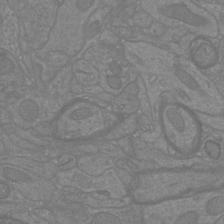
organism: Mouse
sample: Cortical neurons